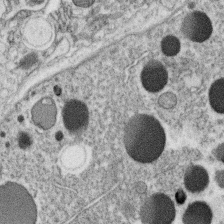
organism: C. elegans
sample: C. elegans oocyte; sperm cells